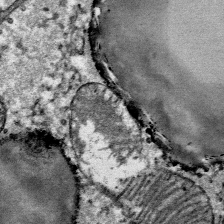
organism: Mouse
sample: Mouse Salivary gland